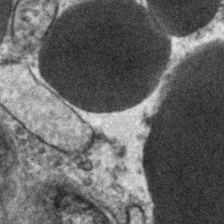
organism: Human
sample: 1205lu cells